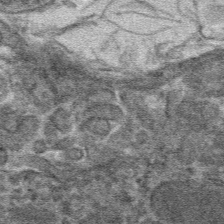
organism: Mouse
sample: Mouse hepatocytes